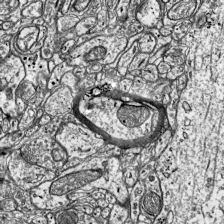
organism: Mouse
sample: Visual Cortex